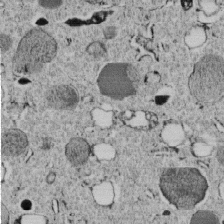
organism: C. elegans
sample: C. elegans embryo early stage